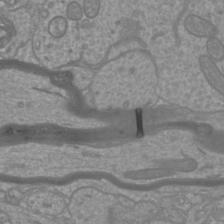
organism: Mouse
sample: Cortical neurons